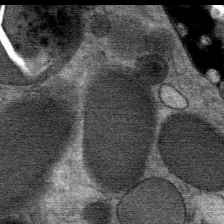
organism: Mouse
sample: Mouse Salivary gland